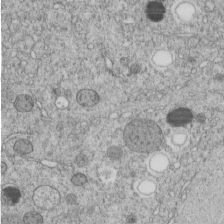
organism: C. elegans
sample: C. elegans embryo early stage